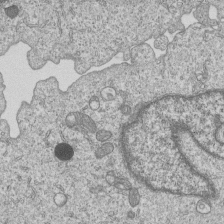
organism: Human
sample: MDA-MB-231 cells